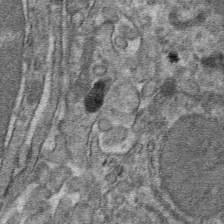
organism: Mouse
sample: Mouse hepatocytes